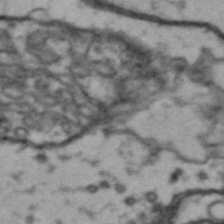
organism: Drosophila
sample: Brain